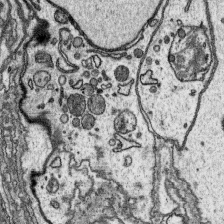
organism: Platynereis dumerilii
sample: Parapodia